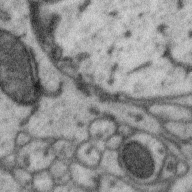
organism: Zebra finch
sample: Brain